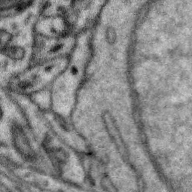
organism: Zebra finch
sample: Brain